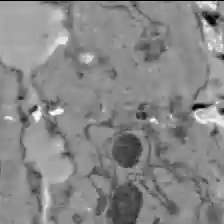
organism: C57BL Mouse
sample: Liver